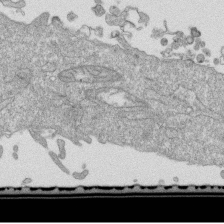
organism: Human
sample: HeLa cell HIV synapse